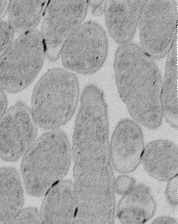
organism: E. coli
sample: Bacterial nucleoid